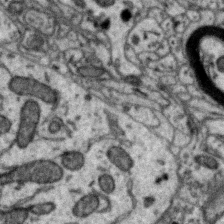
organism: Zebra finch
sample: Brain